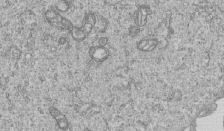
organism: Human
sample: MDA-MB-231 cells